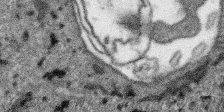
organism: Human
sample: Lung epithelial cells infected with SARS-CoV-2